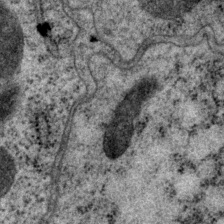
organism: P. pacificus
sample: Pharynx